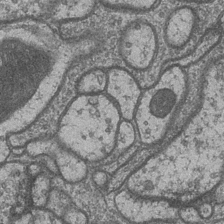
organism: Drosophila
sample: Optic medulla